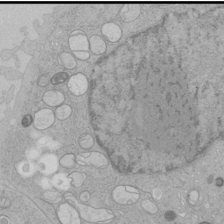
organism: Human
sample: Mitochondria in HCT116 cells